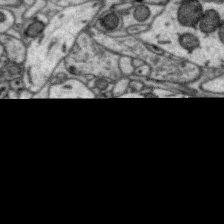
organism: Zebra finch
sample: Brain